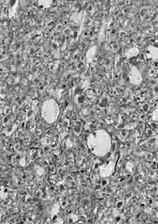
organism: Drosophila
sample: Optic lobe